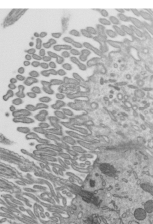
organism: Mouse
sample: Mouse epididymis efferent ductule cilia